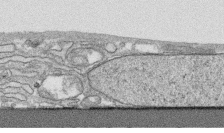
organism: Human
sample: CRL-1474